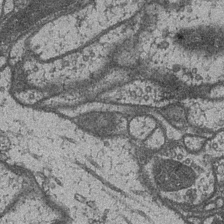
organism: Drosophila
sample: Optic medulla